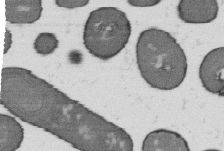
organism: B. subtilis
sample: Bacterial spore